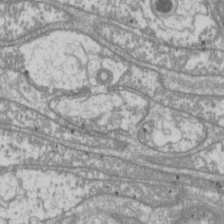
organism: Drosophila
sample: Cell division; meiosis; drosophila spermatocytes